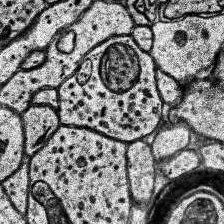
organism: Human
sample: Temporal Lobe